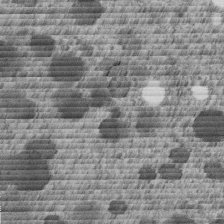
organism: C. elegans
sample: C. elegans embryo early stage